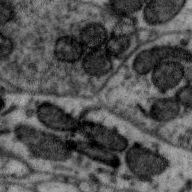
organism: Zebra finch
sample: Brain